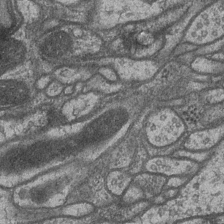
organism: Drosophila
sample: Optic medulla